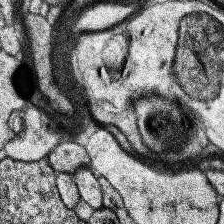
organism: Human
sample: Temporal Lobe